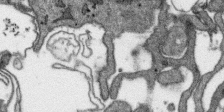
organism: Human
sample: Lung epithelial cells, uninfected (mock) control